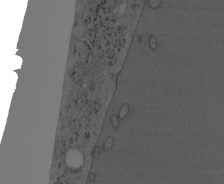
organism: Mouse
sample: OT-I killer T cells with ID8 ovarian cancer cells